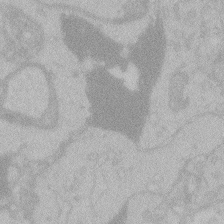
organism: Zebrafish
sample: Macrophage infected with Toxoplasma gondii